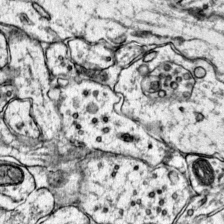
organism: Mouse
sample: Primary visual cortex